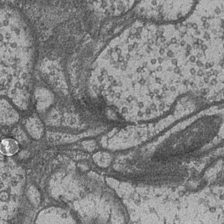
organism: Drosophila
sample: Optic medulla